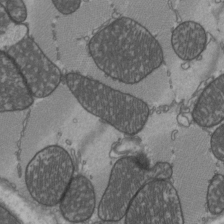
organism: C57BL Mouse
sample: Heart